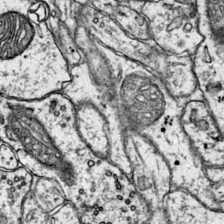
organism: Mouse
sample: Primary visual cortex